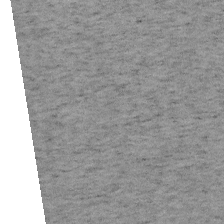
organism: Mouse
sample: OT-I killer T cells with ID8 ovarian cancer cells